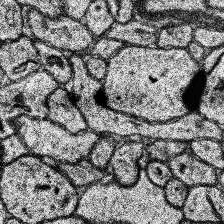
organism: Human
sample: Temporal Lobe